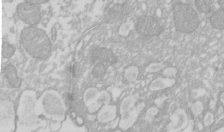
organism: Xenopus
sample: Cilia; centrioles in frog embryo cells